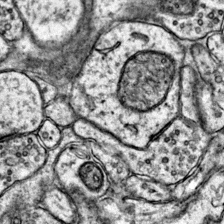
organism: Mouse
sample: Primary visual cortex